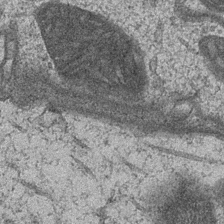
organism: Drosophila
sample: Optic medulla